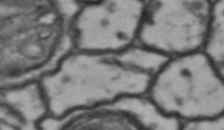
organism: Drosophila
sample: Brain